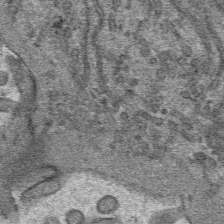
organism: Mouse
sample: Mouse hepatocytes